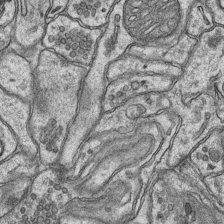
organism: Mouse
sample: CA1 Hippocampus